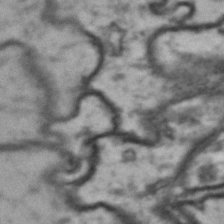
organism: Drosophila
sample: Brain